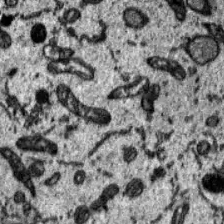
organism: Human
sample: HeLa cells